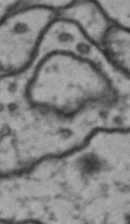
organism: Drosophila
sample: Brain